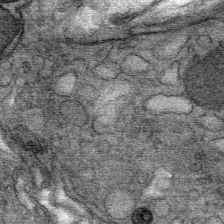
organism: Mouse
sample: Mouse Salivary gland